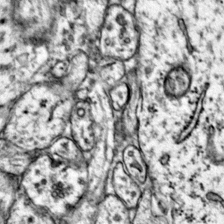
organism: Mouse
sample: Primary visual cortex